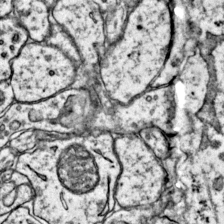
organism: Mouse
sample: Primary visual cortex